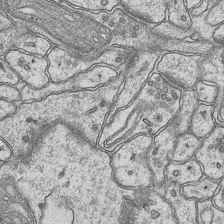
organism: Mouse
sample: CA1 Hippocampus